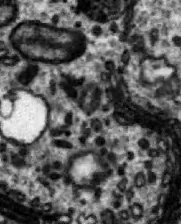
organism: Human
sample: HeLa cells